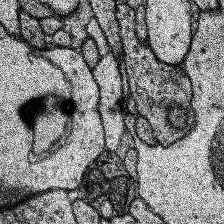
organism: Human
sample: Temporal Lobe